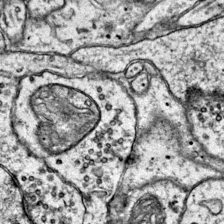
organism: Mouse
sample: Primary visual cortex